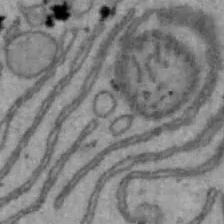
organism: Mouse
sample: Liver